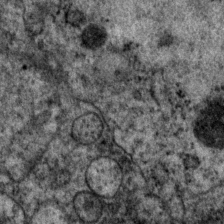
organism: P. pacificus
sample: Pharynx